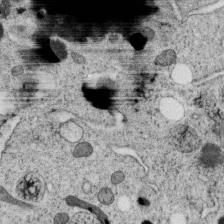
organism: C. elegans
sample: C. elegans oocyte; sperm cells